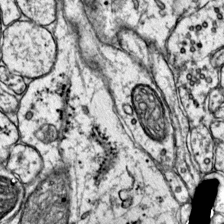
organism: Mouse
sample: Primary visual cortex